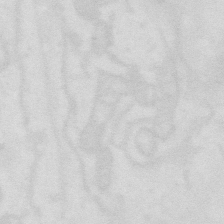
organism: Human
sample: HeLa cells